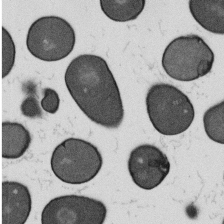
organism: B. subtilis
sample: Bacterial spore